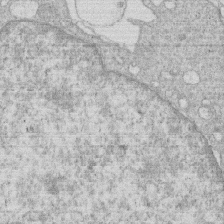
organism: Human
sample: Macrophage cells